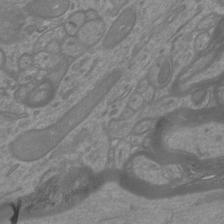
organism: Mouse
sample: Cortical neurons